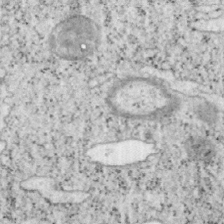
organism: Mouse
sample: OT-I killer T cells with ID8 ovarian cancer cells